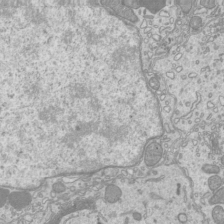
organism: Mouse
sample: Cilia; mouse epididymis